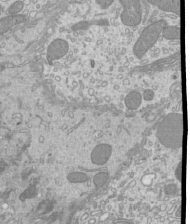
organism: Mouse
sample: Cilia; mouse epididymis